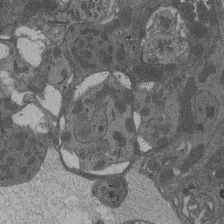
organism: Drosophila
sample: Antenna